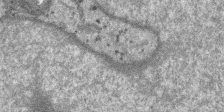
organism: Human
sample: Lung epithelial cells infected with SARS-CoV-2